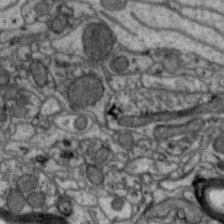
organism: Zebra finch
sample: Brain